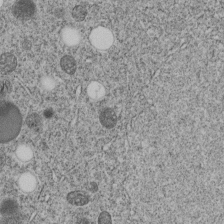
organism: C. elegans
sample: C. elegans embryo early stage